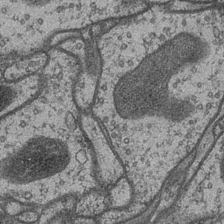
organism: Drosophila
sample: Optic medulla